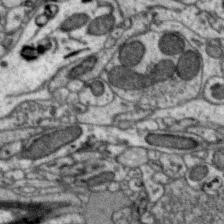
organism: Zebra finch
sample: Brain